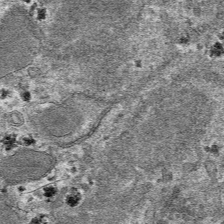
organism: Mouse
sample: Mouse hepatocytes